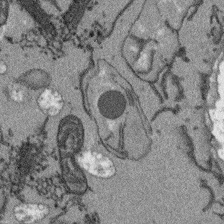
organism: Arabidopsis thaliana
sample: Root tip